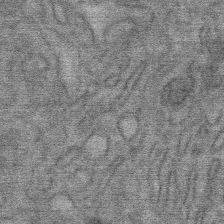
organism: Mouse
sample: Mouse Salivary gland